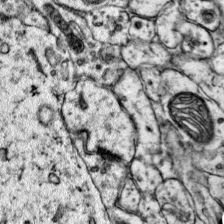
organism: Mouse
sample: Primary visual cortex